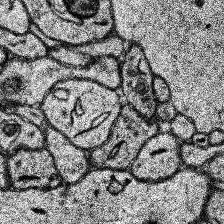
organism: Human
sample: Temporal Lobe